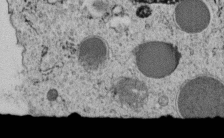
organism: C. elegans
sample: C. elegans embryo early stage